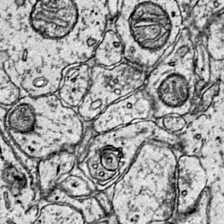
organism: Mouse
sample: Primary visual cortex